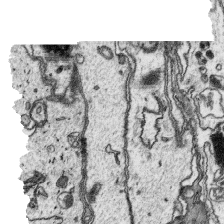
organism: Platynereis dumerilii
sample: Parapodia